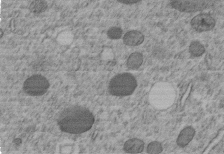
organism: C. elegans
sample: C. elegans embryo early stage